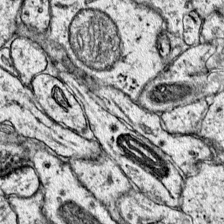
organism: Mouse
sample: Primary visual cortex